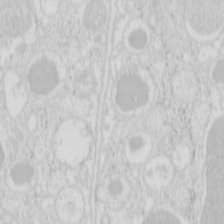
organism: Mouse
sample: Pancreas